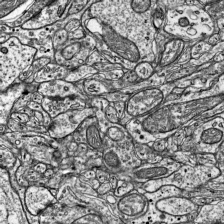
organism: Mouse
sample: Visual Cortex